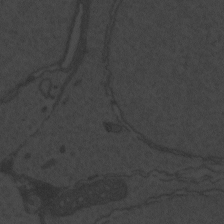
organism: Zebrafish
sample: Macrophage infected with Toxoplasma gondii